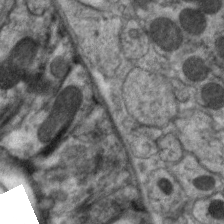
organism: C. elegans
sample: Pharynx